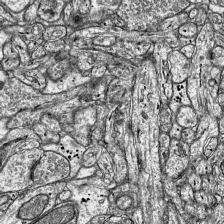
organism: Mouse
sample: Visual Cortex